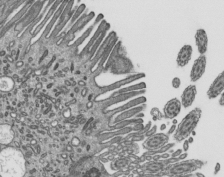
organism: Mouse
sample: Mouse epididymis efferent ductule cilia